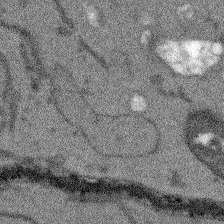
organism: Arabidopsis thaliana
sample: Root tip